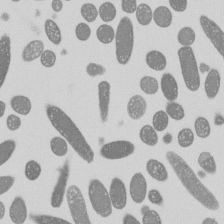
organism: E. coli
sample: Bacterial nucleoid